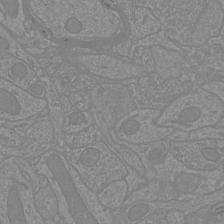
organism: Mouse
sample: Cortical neurons